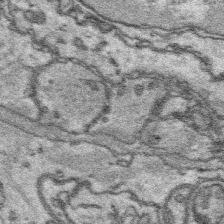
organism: Platynereis dumerilii